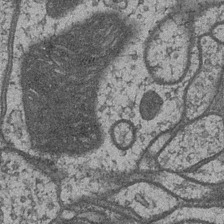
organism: Drosophila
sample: Optic medulla